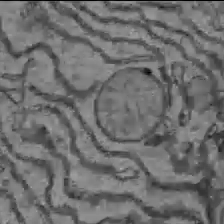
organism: C57BL Mouse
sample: Liver